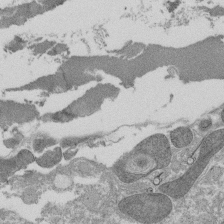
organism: Tetrahymena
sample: Cilia in tetrahymena